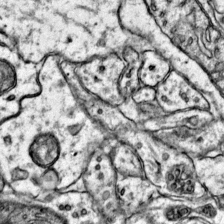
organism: Mouse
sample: Primary visual cortex